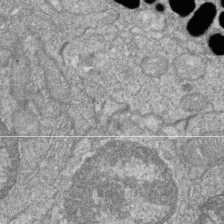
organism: Zebrafish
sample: Cilia; retinal pigment epithelium